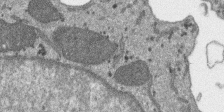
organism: Human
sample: Lung epithelial cells infected with SARS-CoV-2